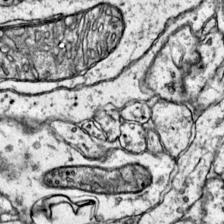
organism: Mouse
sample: Primary visual cortex